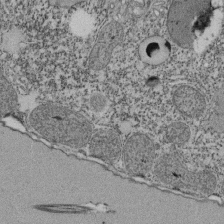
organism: Tetrahymena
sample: Cilia in tetrahymena